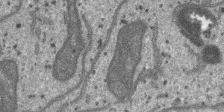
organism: Human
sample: Lung epithelial cells infected with SARS-CoV-2